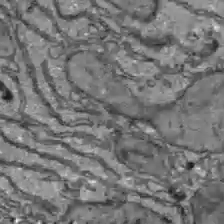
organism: C57BL Mouse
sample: Liver